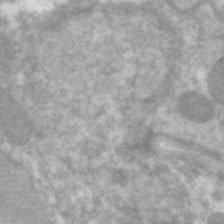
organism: C. elegans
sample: Pharynx